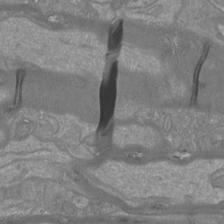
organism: Mouse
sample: Cortical neurons